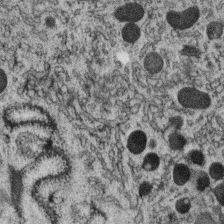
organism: C. elegans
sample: C. elegans oocyte; sperm cells